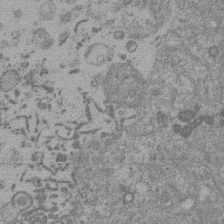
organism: Mouse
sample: Dividing mouse embryo 1 cell stage